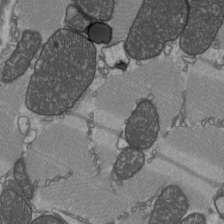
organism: C57BL Mouse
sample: Heart